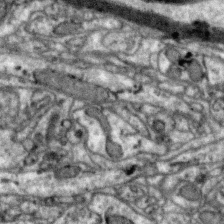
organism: Zebra finch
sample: Brain